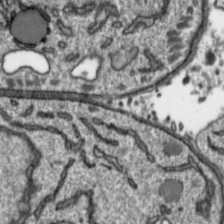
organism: Toxoplasma gondii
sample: Parasites in a vacuole inside a host cell